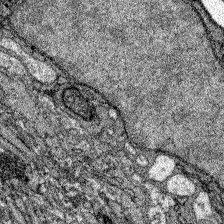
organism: Zebrafish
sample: Larval olfactory bulb